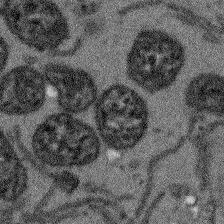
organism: Arabidopsis thaliana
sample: Root tip